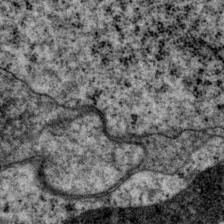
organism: P. pacificus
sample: Pharynx